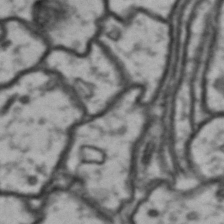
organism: Drosophila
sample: Brain